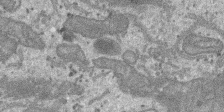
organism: Human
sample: Lung epithelial cells infected with SARS-CoV-2